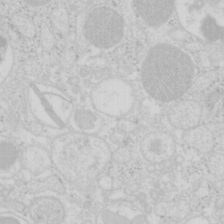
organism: Mouse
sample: Pancreas